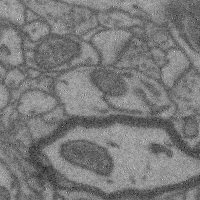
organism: Mouse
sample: Cerebral cortex